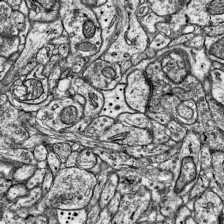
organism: Mouse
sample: Visual Cortex